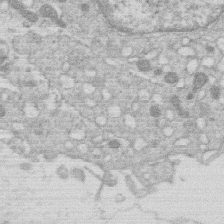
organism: Human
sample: Macrophage cells